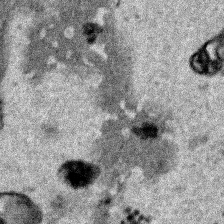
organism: Human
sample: Mitochondria in HCT116 cells